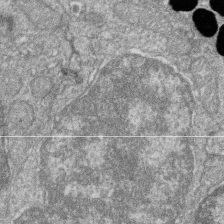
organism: Zebrafish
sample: Cilia; retinal pigment epithelium